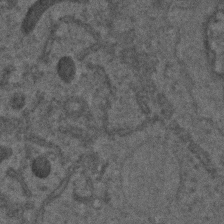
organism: C. elegans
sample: C. elegans embryo